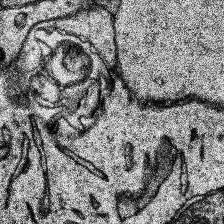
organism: Human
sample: Temporal Lobe